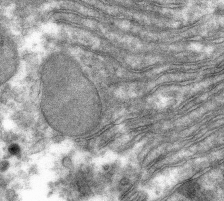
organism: Mouse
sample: Mouse hepatocytes